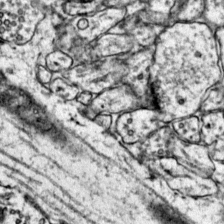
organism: Mouse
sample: Primary visual cortex